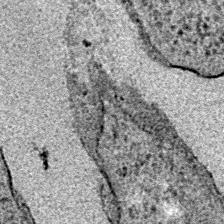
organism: E. coli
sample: E. Coli Bacteria